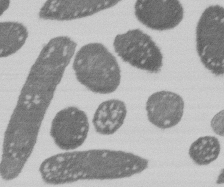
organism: E. coli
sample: Bacterial nucleoid